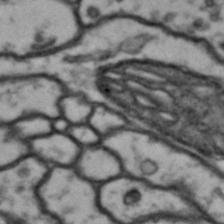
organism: Drosophila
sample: Brain